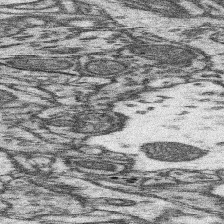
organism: Mouse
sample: Somatosensory cortex neuropil